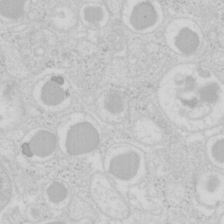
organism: Mouse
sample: Pancreas